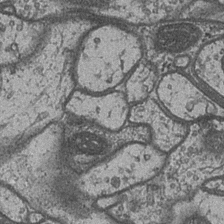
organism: Drosophila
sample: Optic medulla